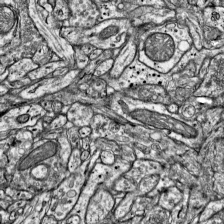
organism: Mouse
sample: Visual Cortex